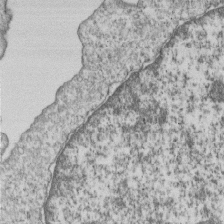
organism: Human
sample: MDA-MB-231 cells